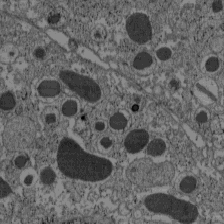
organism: C57BL Mouse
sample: Pancreatic islet